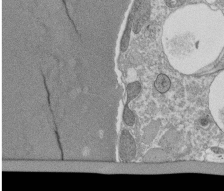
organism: Tetrahymena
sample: Cilia in tetrahymena